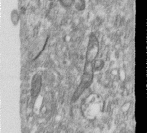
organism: Human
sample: Centriole in RPE cells